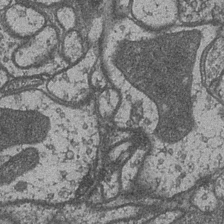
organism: Drosophila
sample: Optic medulla